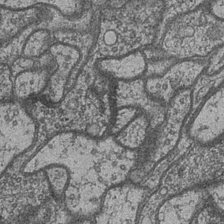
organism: Drosophila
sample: Optic medulla